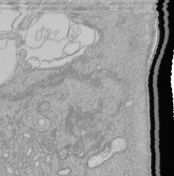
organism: Human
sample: Retinal organoid Rod and Cone cells